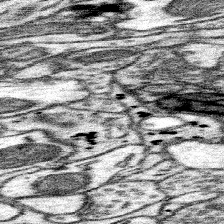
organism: Mouse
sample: Somatosensory cortex neuropil